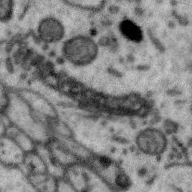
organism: Zebra finch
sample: Brain